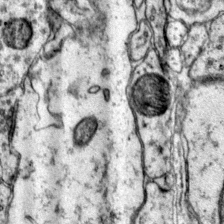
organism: Mouse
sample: Primary visual cortex